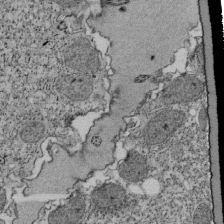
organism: Tetrahymena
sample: Cilia in tetrahymena